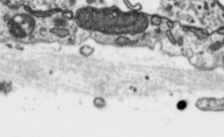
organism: Toxoplasma gondii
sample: Parasites in a vacuole inside a host cell